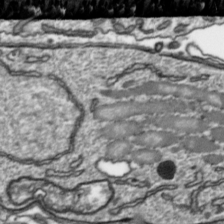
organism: Toxoplasma gondii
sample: Parasites in a vacuole inside a host cell